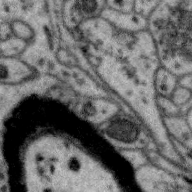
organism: Zebra finch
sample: Brain